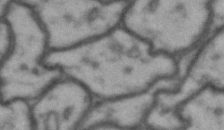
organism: Drosophila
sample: Brain